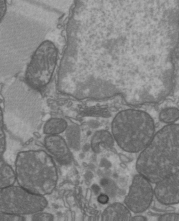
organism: C57BL Mouse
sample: Heart